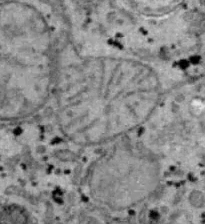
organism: Mouse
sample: Liver from an obese (ob/ob) mouse